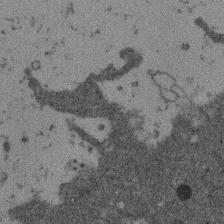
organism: Mouse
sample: Dividing mouse embryo 1 cell stage